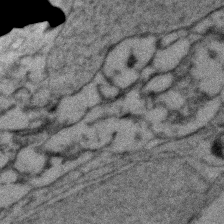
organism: Zebrafish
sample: Zebrafish embryo